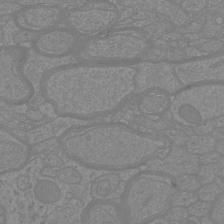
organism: Mouse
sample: Cortical neurons